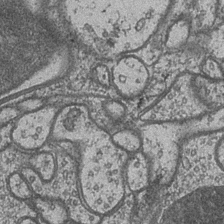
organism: Drosophila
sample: Optic medulla